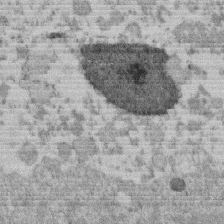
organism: Mouse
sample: Dividing mouse embryo 1 cell stage